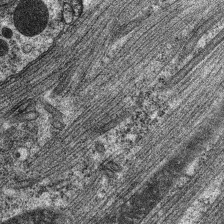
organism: C. elegans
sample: Pharynx